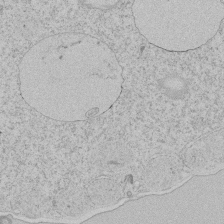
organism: Tetrahymena